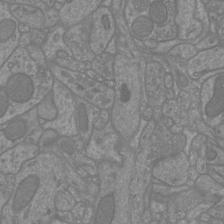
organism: Mouse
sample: Cortical neurons